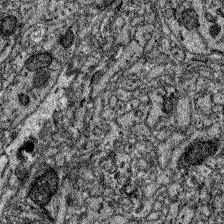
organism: Zebrafish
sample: Larval olfactory bulb